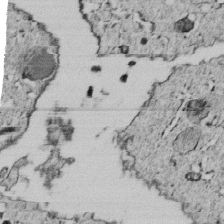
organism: C. elegans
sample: C. elegans embryo early stage